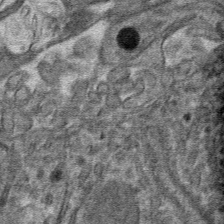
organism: Mouse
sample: Mouse hepatocytes